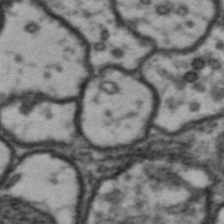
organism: Drosophila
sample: Brain